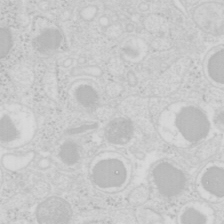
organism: Mouse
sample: Pancreas